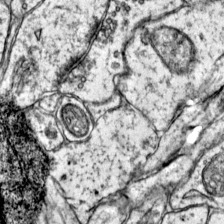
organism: Mouse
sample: Primary visual cortex